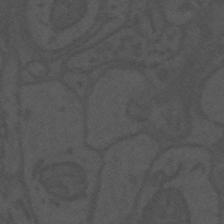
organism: Mouse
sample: Suprachiasmatic nucleus